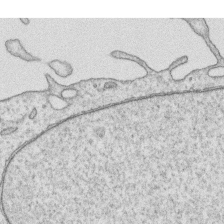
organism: Human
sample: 1205lu cells